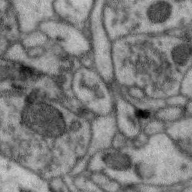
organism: Zebra finch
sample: Brain